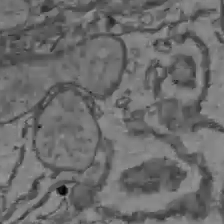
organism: C57BL Mouse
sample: Liver